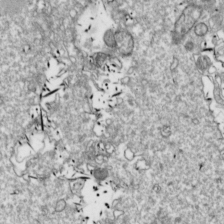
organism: Drosophila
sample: Cell division; meiosis; drosophila spermatocytes